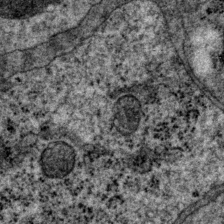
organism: P. pacificus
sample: Pharynx